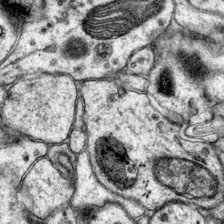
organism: Mouse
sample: Primary visual cortex